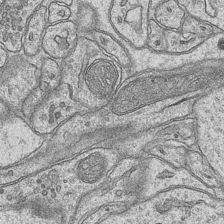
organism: Mouse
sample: CA1 Hippocampus